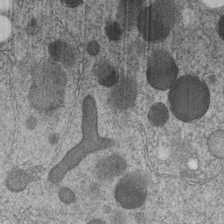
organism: C. elegans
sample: C. elegans embryo early stage